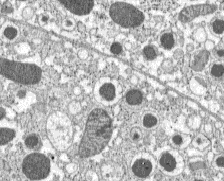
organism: C57BL Mouse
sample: Pancreatic islet